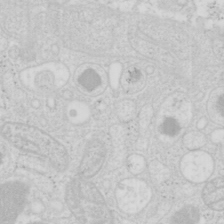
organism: Mouse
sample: Pancreas